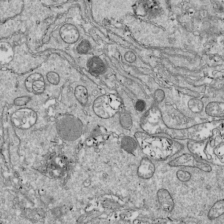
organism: Drosophila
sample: Cell division; meiosis; drosophila spermatocytes